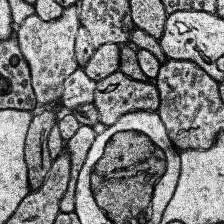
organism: Human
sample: Temporal Lobe